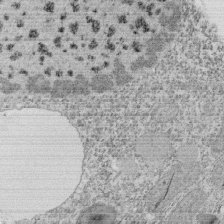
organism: Tetrahymena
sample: Cilia in tetrahymena